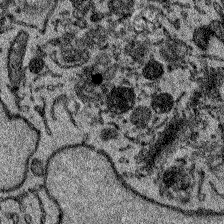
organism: Zebrafish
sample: Larval olfactory bulb